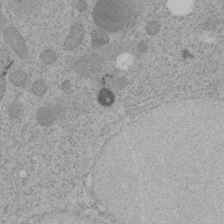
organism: C. elegans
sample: C. elegans embryo early stage